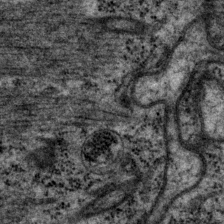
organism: P. pacificus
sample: Pharynx